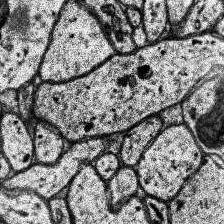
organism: Human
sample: Temporal Lobe